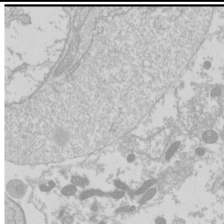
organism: Drosophila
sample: Cell division; meiosis; drosophila spermatocytes